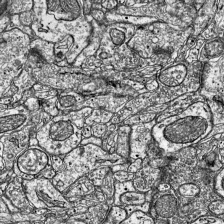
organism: Mouse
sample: Visual Cortex